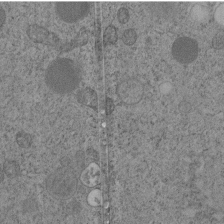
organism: C. elegans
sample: C. elegans embryo early stage